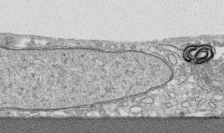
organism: Human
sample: CRL-1474